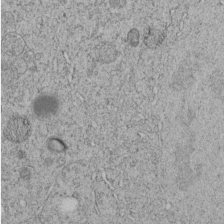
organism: C. elegans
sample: C. elegans embryo early stage